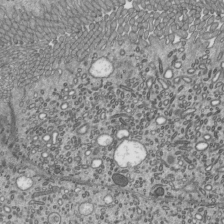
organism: Mouse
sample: Mouse epididymis efferent ductule cilia